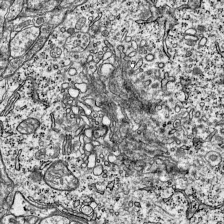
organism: Mouse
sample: Visual Cortex